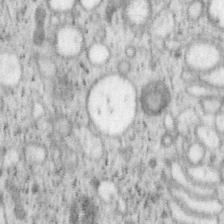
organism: Mouse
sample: OT-I killer T cells with ID8 ovarian cancer cells